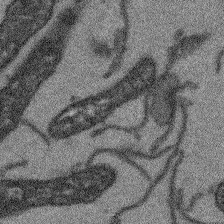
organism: Arabidopsis thaliana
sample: Root tip